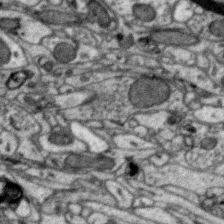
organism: Zebra finch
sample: Brain